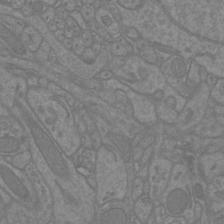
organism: Mouse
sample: Cortical neurons